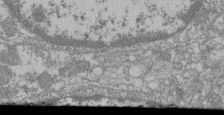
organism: Mouse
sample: Glomerulus